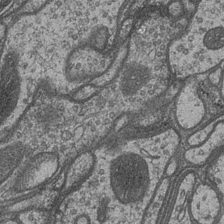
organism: Drosophila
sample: Optic medulla